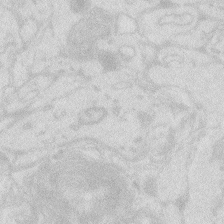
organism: Zebrafish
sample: Macrophage